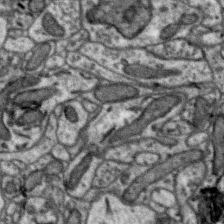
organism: Zebra finch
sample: Brain